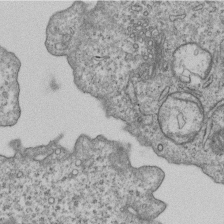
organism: Human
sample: MDA-MB-231 cells